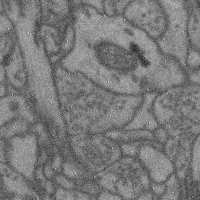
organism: Mouse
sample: Cerebral cortex